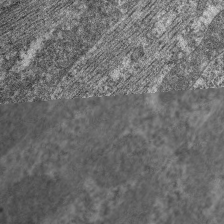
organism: C. elegans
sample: Pharynx